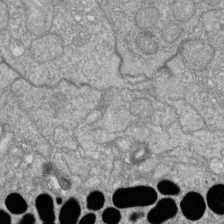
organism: Zebrafish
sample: Cilia; retinal pigment epithelium